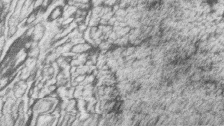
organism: Zebrafish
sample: synaptic ribbons in rod cells and cone cells